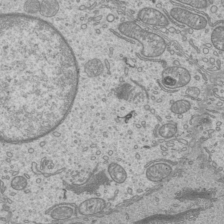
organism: Mouse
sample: Cilia; mouse epididymis